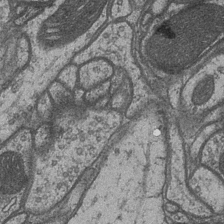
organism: Drosophila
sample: Optic medulla